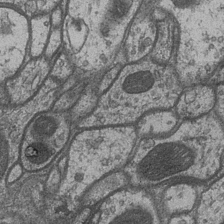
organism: Drosophila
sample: Optic medulla